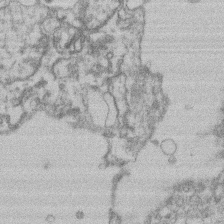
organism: Mouse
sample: T cell stromal cell synapse